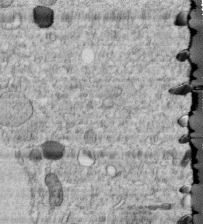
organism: C. elegans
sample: C. elegans embryo early stage